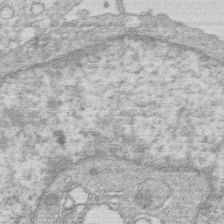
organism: Human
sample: Macrophage cells